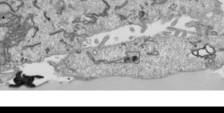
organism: Human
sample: Mitochondria in HCT116 cells